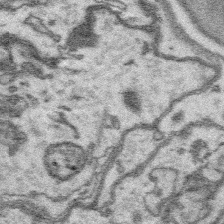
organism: Platynereis dumerilii